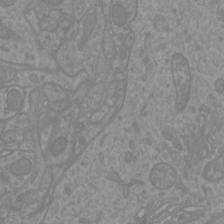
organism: Mouse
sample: Cortical neurons